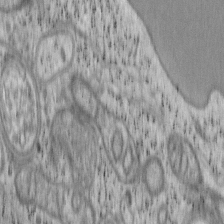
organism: Human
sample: HeLa cells